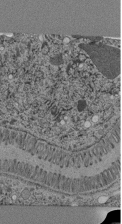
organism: C. elegans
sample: C. elegans pharynx